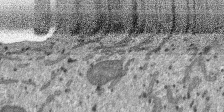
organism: Human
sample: Lung epithelial cells infected with SARS-CoV-2